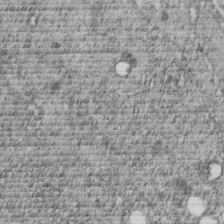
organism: C. elegans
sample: C. elegans embryo early stage